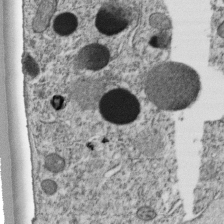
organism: C. elegans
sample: C. elegans embryo early stage